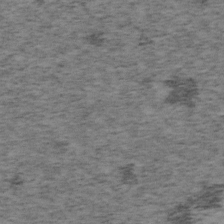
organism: Mouse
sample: OT-I killer T cells with ID8 ovarian cancer cells